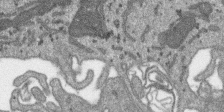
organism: Human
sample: Lung epithelial cells infected with SARS-CoV-2